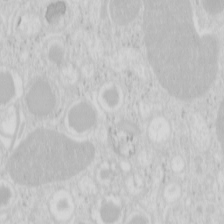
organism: Mouse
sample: Pancreas